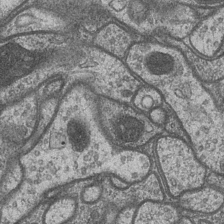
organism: Drosophila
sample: Optic medulla